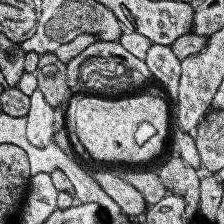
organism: Human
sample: Temporal Lobe